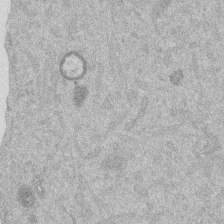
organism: Mouse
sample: Dividing mouse embryo 1 cell stage